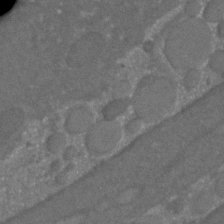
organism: C. elegans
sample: C. elegans embryo